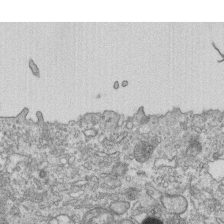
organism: Human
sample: HeLa cell HIV synapse